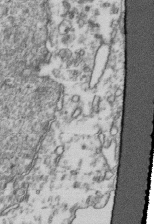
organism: Human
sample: Activated Jurkat CD4+ T cells